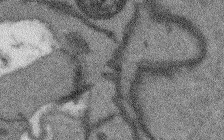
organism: Arabidopsis thaliana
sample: Root tip